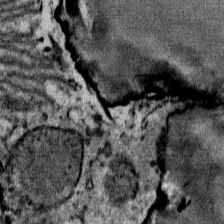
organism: Mouse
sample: Mouse Salivary gland